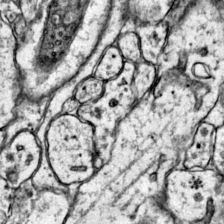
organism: Mouse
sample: Primary visual cortex